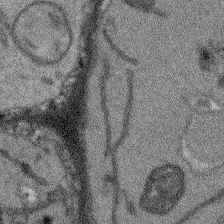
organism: Arabidopsis thaliana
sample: Root tip